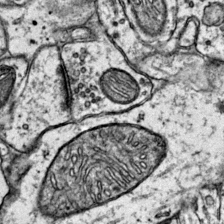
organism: Mouse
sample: Primary visual cortex